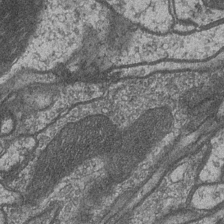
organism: Drosophila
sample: Optic medulla